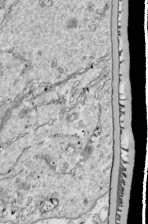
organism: Drosophila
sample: Cell division; meiosis; drosophila spermatocytes